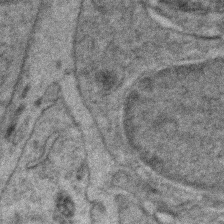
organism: Zebrafish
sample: Zebrafish embryo